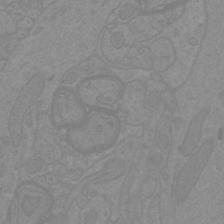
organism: Mouse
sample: Cortical neurons